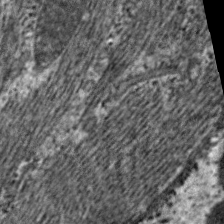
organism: C. elegans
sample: Pharynx